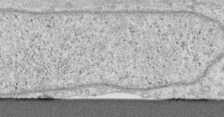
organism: Human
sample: Centriole in RPE cells